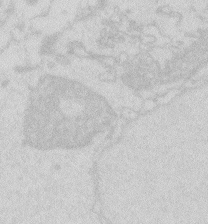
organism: Zebrafish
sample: Macrophage